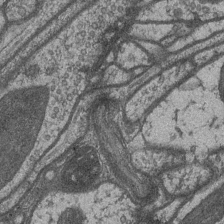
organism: Drosophila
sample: Optic medulla